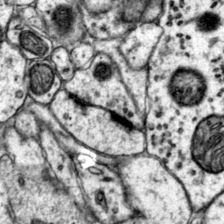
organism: Mouse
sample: Primary visual cortex